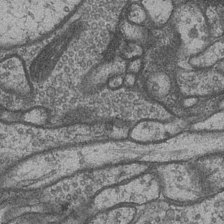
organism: Drosophila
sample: Optic medulla